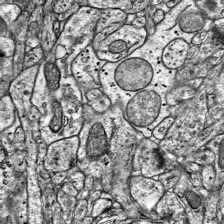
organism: Mouse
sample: Visual Cortex